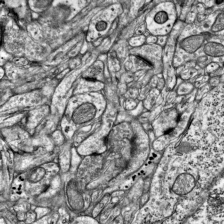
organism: Mouse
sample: Visual Cortex